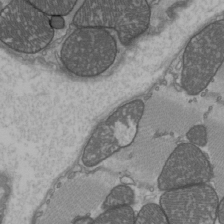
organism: C57BL Mouse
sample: Heart